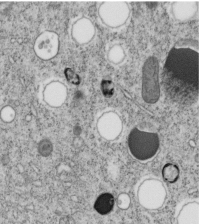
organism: C. elegans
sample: C. elegans embryo early stage